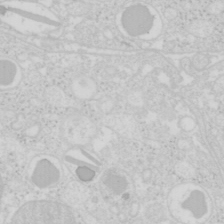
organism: Mouse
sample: Pancreas